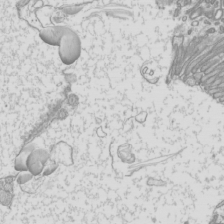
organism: Mouse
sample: Cilia; mouse epididymis